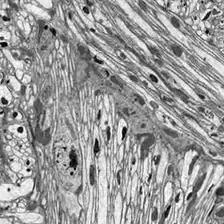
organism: Drosophila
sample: Optic lobe